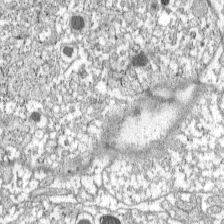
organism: C57BL Mouse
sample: Pancreatic islet